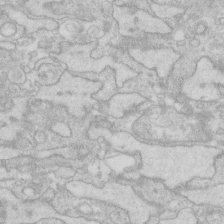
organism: Human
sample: Fibroblast cells